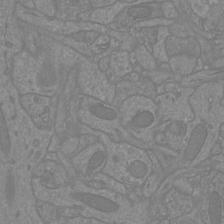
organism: Mouse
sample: Cortical neurons